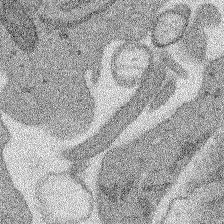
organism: Human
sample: HeLa cells